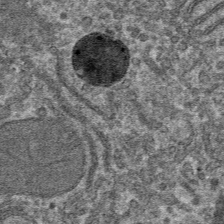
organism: Mouse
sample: Mouse hepatocytes